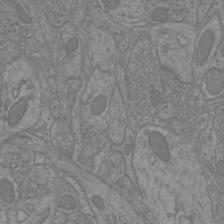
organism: Mouse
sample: Cortical neurons